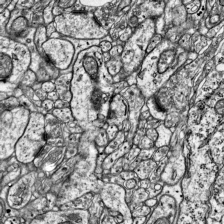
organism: Mouse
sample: Visual Cortex